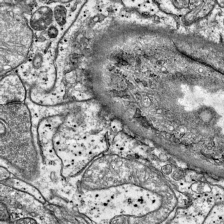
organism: Mouse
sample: Visual Cortex